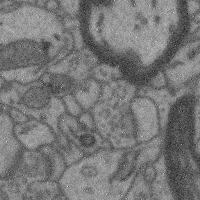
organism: Mouse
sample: Cerebral cortex